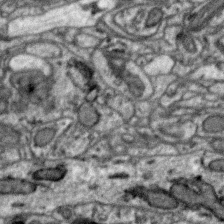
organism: Zebra finch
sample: Brain